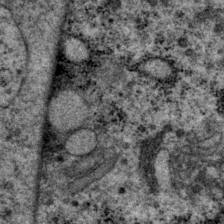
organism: P. pacificus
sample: Pharynx